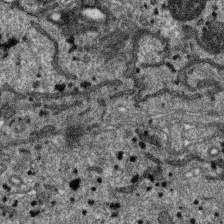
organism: Human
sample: Lung epithelial cells infected with SARS-CoV-2